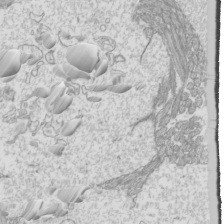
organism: Mouse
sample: Cilia; mouse epididymis